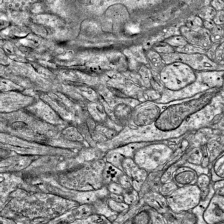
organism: Mouse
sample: Visual Cortex